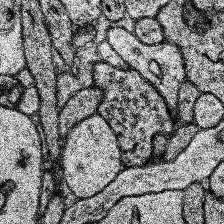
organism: Human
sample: Temporal Lobe